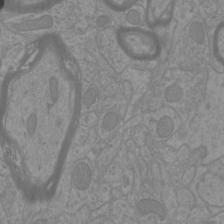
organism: Mouse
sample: Cortical neurons